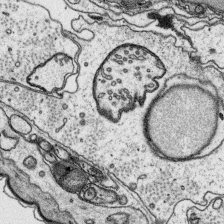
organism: Platynereis dumerilii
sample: Parapodia